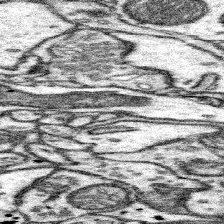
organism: Mouse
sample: Somatosensory cortex neuropil